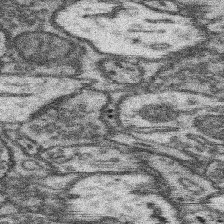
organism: Mouse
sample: Somatosensory cortex neuropil